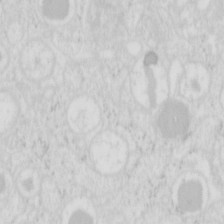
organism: Mouse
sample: Pancreas